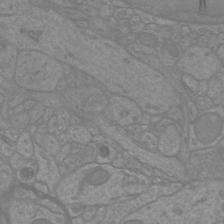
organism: Mouse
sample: Cortical neurons